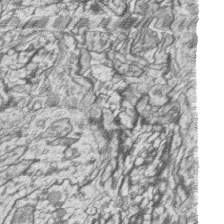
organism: Zebrafish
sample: synaptic ribbons in rod cells and cone cells